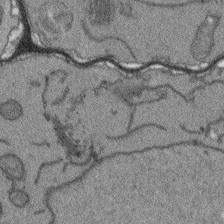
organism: Arabidopsis thaliana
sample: Root tip